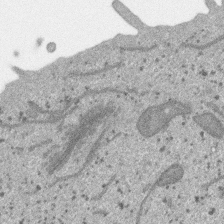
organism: Human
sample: Lung epithelial cells infected with SARS-CoV-2